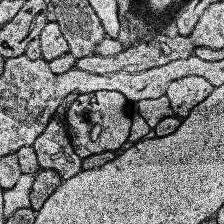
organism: Human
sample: Temporal Lobe